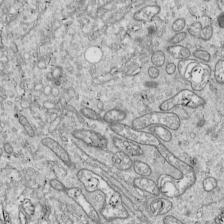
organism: Drosophila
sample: Cell division; meiosis; drosophila spermatocytes